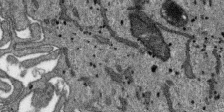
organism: Human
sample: Lung epithelial cells, uninfected (mock) control